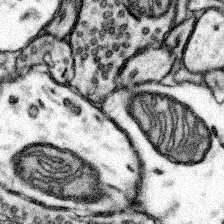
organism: Mouse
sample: Somatosensory cortex neuropil